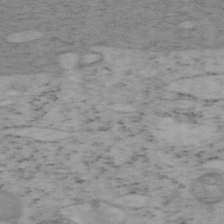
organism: Mouse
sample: OT-I killer T cells with ID8 ovarian cancer cells